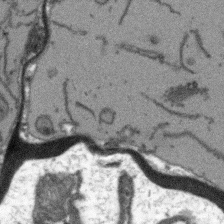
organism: Arabidopsis thaliana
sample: Root tip